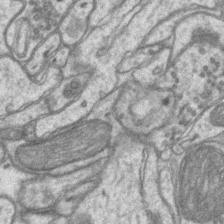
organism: Mouse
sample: CA1 Hippocampus